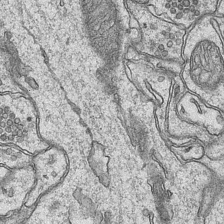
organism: Mouse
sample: CA1 Hippocampus